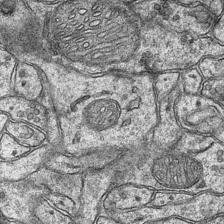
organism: Mouse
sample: CA1 Hippocampus